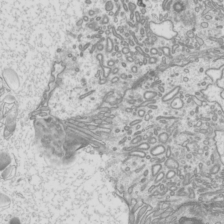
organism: Mouse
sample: Cilia; mouse epididymis